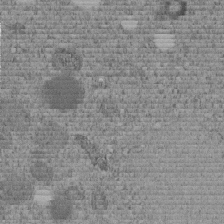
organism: C. elegans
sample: C. elegans embryo early stage